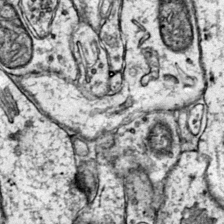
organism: Mouse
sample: Primary visual cortex